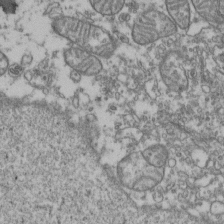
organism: Human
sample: Activated Jurkat CD4+ T cells